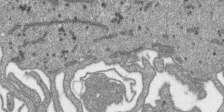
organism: Human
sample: Lung epithelial cells infected with SARS-CoV-2